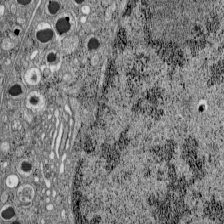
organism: C57BL Mouse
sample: Pancreatic islet